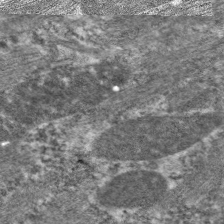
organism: C. elegans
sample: Pharynx